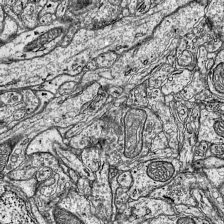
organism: Mouse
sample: Visual Cortex